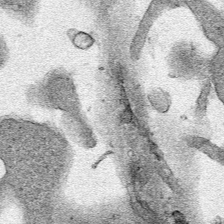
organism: Human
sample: Mitochondria in HCT116 cells